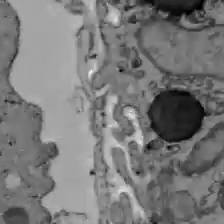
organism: C57BL Mouse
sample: Liver